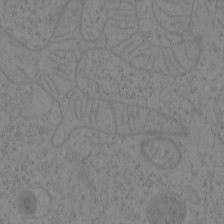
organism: Human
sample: HeLa cells